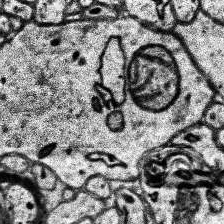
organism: Human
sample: Temporal Lobe